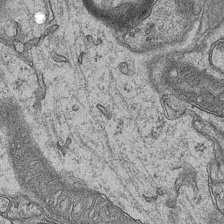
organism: Mouse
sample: CA1 Hippocampus